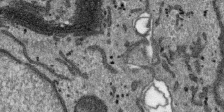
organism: Human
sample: Lung epithelial cells, uninfected (mock) control